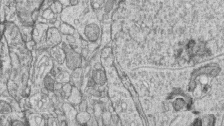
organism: Zebrafish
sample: synaptic ribbons in rod cells and cone cells